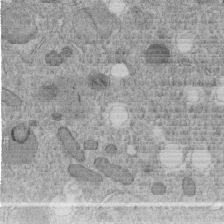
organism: C. elegans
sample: C. elegans embryo early stage